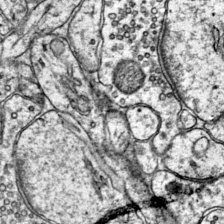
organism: Mouse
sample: Primary visual cortex